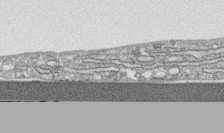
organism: Human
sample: CRL-1474